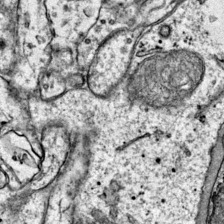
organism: Mouse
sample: Primary visual cortex